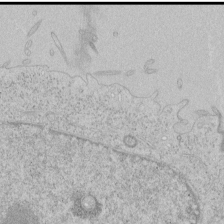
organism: Human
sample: Mitochondria in HCT116 cells